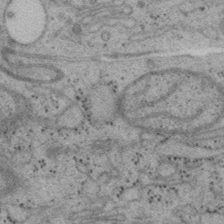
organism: Human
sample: HeLa cells